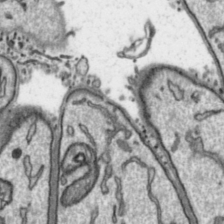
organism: Toxoplasma gondii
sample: Parasites in a vacuole inside a host cell